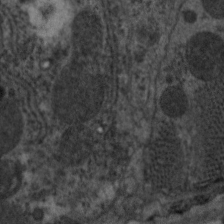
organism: C. elegans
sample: Pharynx